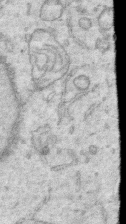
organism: Human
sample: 1205lu cells